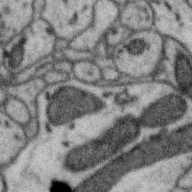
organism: Zebra finch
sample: Brain